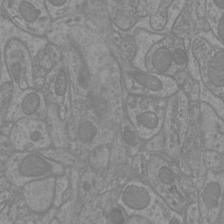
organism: Mouse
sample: Cortical neurons